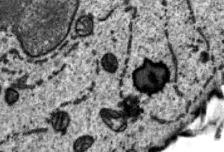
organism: Human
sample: HeLa cells